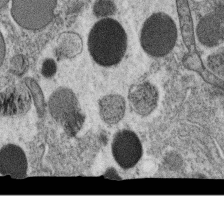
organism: C. elegans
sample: C. elegans oocyte; sperm cells